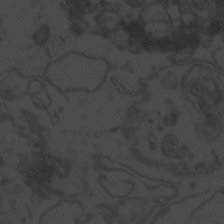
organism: Zebrafish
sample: Macrophage infected with Toxoplasma gondii